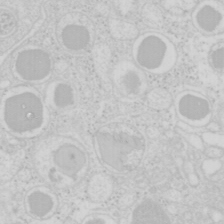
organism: Mouse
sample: Pancreas